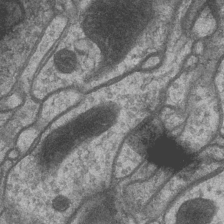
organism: Drosophila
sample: Optic medulla